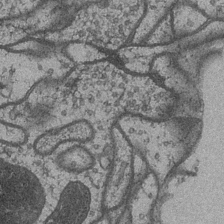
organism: Drosophila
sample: Optic medulla